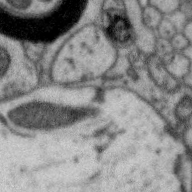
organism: Zebra finch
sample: Brain